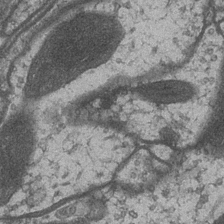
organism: Drosophila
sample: Optic medulla